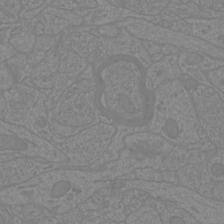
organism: Mouse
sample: Cortical neurons